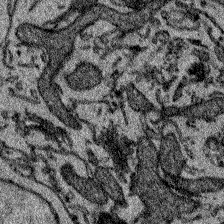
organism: Zebrafish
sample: Larval olfactory bulb